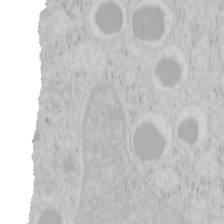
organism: Mouse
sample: Pancreas